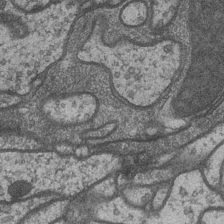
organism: Drosophila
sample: Optic medulla